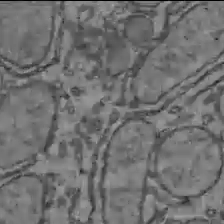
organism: C57BL Mouse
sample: Liver